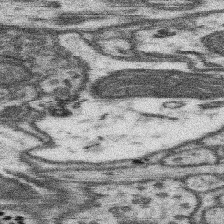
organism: Mouse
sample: Somatosensory cortex neuropil